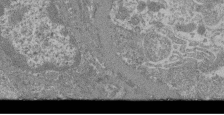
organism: Mouse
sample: Glomerulus